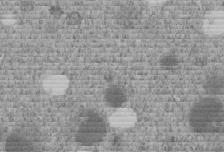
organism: C. elegans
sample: C. elegans embryo early stage